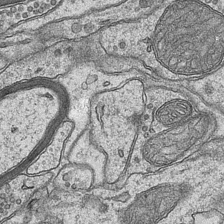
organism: Mouse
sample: CA1 Hippocampus